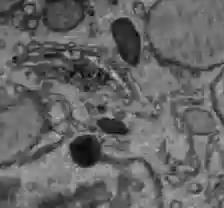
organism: C57BL Mouse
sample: Liver